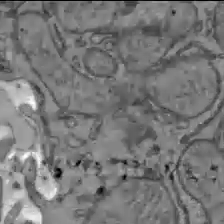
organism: C57BL Mouse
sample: Liver